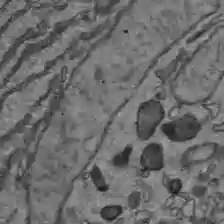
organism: C57BL Mouse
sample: Liver